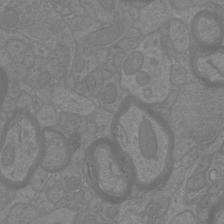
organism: Mouse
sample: Cortical neurons